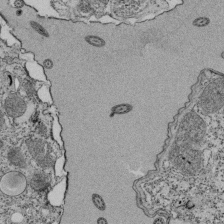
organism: Tetrahymena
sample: Cilia in tetrahymena